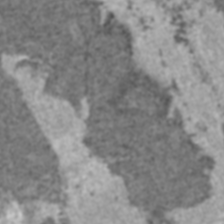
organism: C57BL Mouse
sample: Heart